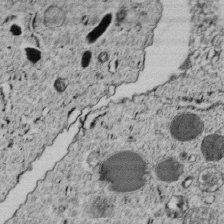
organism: C. elegans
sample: C. elegans embryo early stage